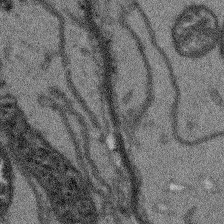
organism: Arabidopsis thaliana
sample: Root tip